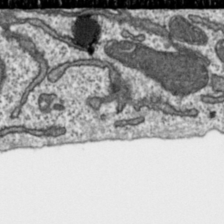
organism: Toxoplasma gondii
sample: Parasites in a vacuole inside a host cell